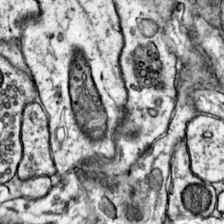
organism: Mouse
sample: Primary visual cortex